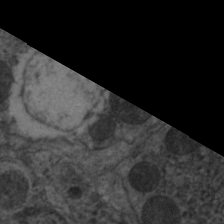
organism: C. elegans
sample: Pharynx